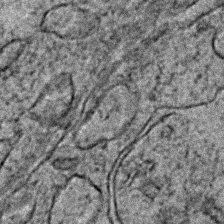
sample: Trachea